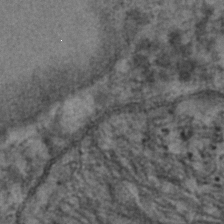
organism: C. elegans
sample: C. elegans embryo